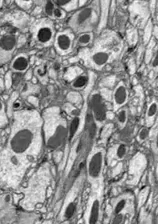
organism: Drosophila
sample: Optic lobe